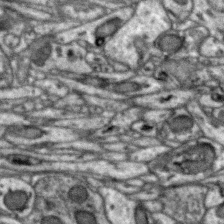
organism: Zebra finch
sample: Brain